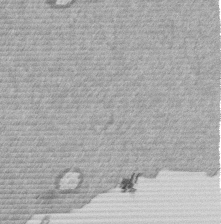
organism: Mouse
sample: Dividing mouse embryo 1 cell stage